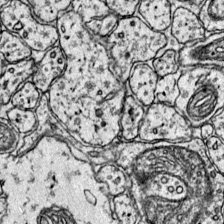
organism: Mouse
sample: Primary visual cortex